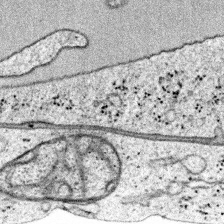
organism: Human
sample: HeLa cells